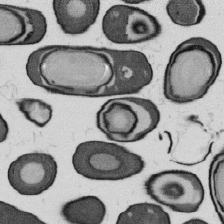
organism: B. subtilis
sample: Bacterial spore